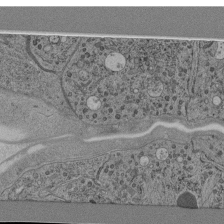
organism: C. elegans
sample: C. elegans pharynx